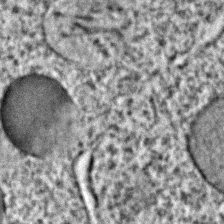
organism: C. elegans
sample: C. elegans embryo